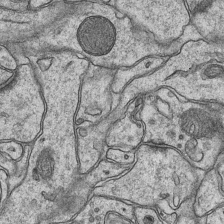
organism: Mouse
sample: CA1 Hippocampus